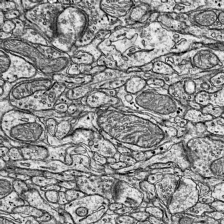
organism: Mouse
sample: Visual Cortex